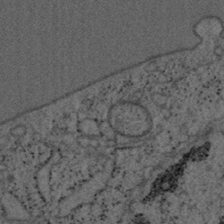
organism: Human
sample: HeLa cells